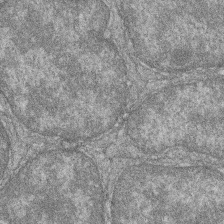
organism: Zebrafish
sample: Cilia; retinal pigment epithelium